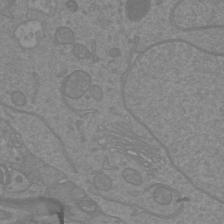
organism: Mouse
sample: Cortical neurons